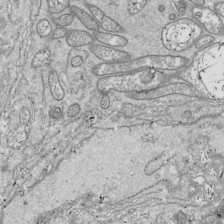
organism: Drosophila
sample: Cell division; meiosis; drosophila spermatocytes